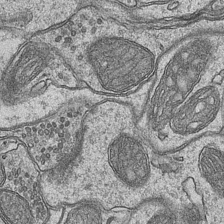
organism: Mouse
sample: CA1 Hippocampus